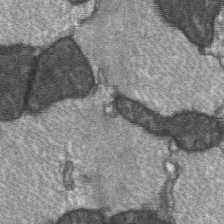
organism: C57BL Mouse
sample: Soleus